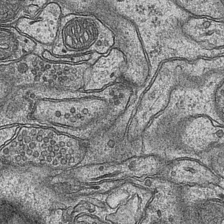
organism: Mouse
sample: CA1 Hippocampus